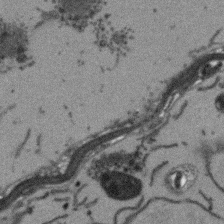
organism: Arabidopsis thaliana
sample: Root tip